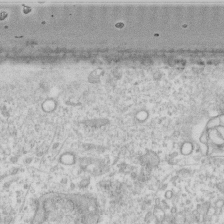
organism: Human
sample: Fibroblast cells